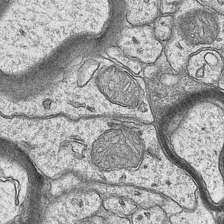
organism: Mouse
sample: CA1 Hippocampus